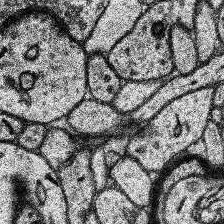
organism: Human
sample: Temporal Lobe